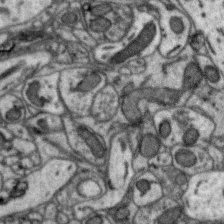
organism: Zebra finch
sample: Brain